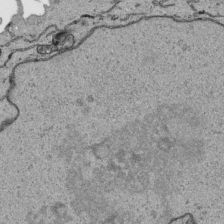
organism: Human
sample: Mitochondria in HCT116 cells